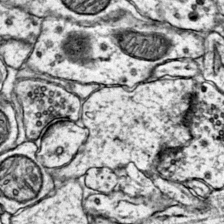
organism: Mouse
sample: Primary visual cortex